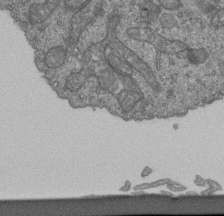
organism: Human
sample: Retinal organoid Rod and Cone cells